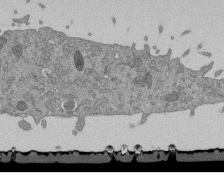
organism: Mouse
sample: ED-1 cell nuclei; centrioles